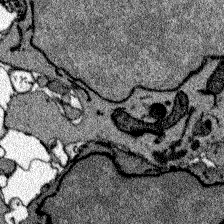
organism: Zebrafish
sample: Larval olfactory bulb